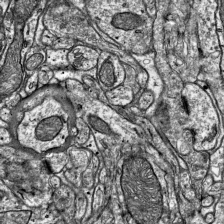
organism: Mouse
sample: Visual Cortex